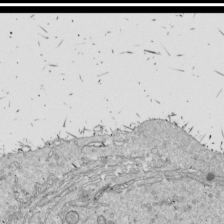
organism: Drosophila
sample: Cell division; meiosis; drosophila spermatocytes